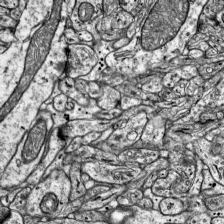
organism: Mouse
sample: Visual Cortex